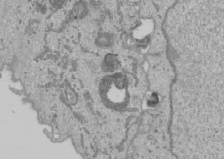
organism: Human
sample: Mitochondria in U2OS cells